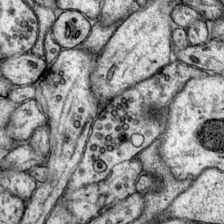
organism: Mouse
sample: Primary visual cortex